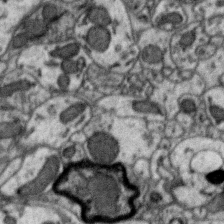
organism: Zebra finch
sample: Brain